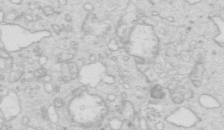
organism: Mouse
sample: Multiciliated cells